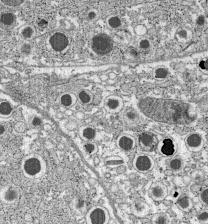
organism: C57BL Mouse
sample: Pancreatic islet